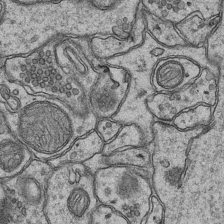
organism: Mouse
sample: CA1 Hippocampus